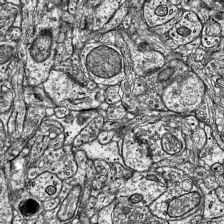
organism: Mouse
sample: Visual Cortex